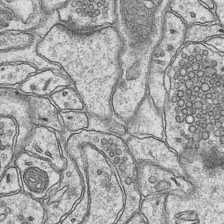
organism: Mouse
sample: CA1 Hippocampus